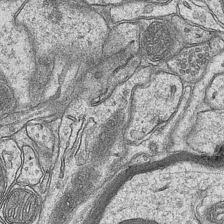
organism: Mouse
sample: CA1 Hippocampus